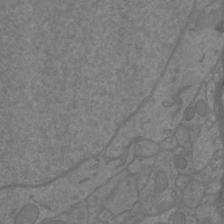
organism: Mouse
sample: Cortical neurons